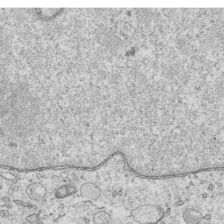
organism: Human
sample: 1205lu cells